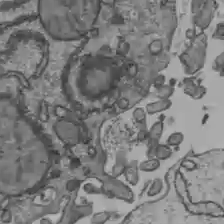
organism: C57BL Mouse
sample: Liver